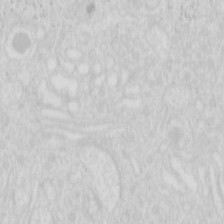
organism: Mouse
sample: Pancreas